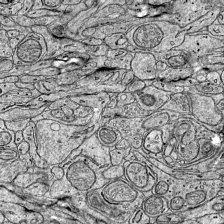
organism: Mouse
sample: Visual Cortex